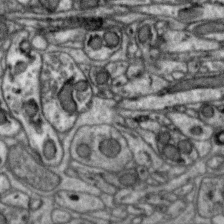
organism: Zebra finch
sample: Brain